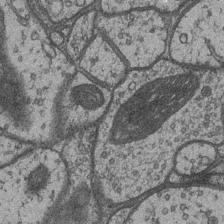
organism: Drosophila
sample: Optic medulla